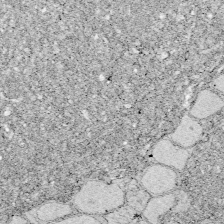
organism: Zebrafish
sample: Whole-Brain